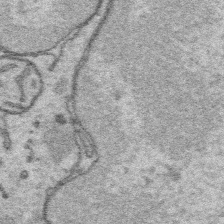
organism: Platynereis dumerilii